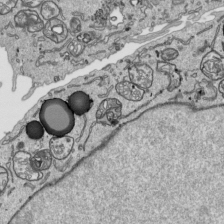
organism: Human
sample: Mitochondria in HCT116 cells